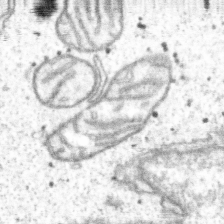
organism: Human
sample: HeLa cells